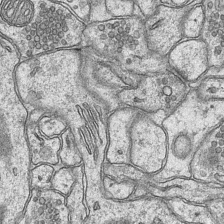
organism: Mouse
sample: CA1 Hippocampus